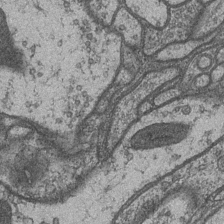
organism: Drosophila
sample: Optic medulla